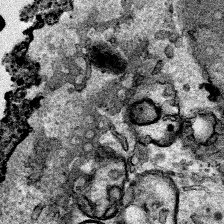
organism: Human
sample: Mitochondria in HCT116 cells